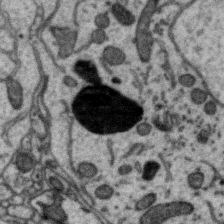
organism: Zebra finch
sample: Brain